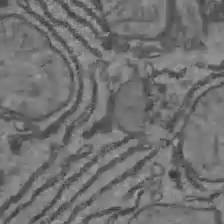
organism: C57BL Mouse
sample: Liver